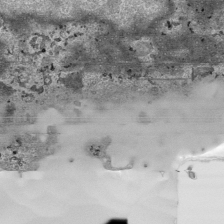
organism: Human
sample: Mitochondria in HCT116 cells